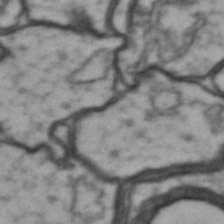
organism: Drosophila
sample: Brain